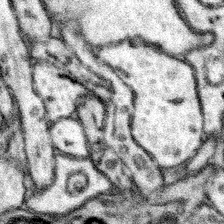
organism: Mouse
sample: Somatosensory cortex neuropil